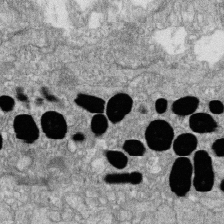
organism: Zebrafish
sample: Cilia; retinal pigment epithelium